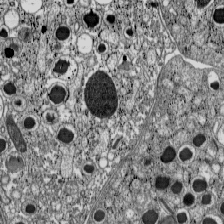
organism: C57BL Mouse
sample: Pancreatic islet